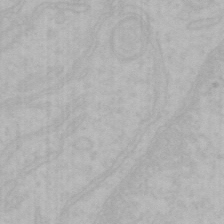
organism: Mouse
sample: Choroid plexus